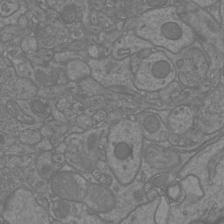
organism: Mouse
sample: Cortical neurons